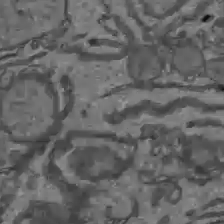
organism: C57BL Mouse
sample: Liver